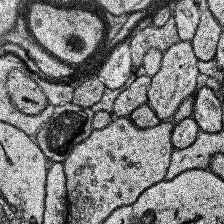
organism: Human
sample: Temporal Lobe